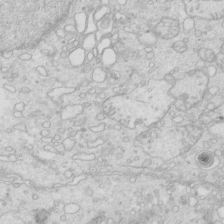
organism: Mouse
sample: Multiciliated cells